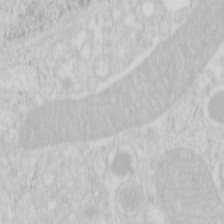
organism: Mouse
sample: Pancreas